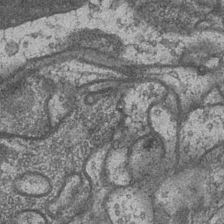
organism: Drosophila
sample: Optic medulla